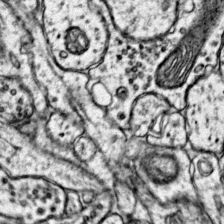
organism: Mouse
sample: Primary visual cortex